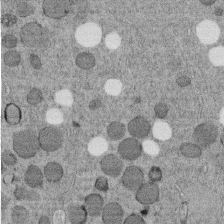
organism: C. elegans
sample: C. elegans embryo early stage